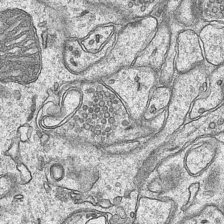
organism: Mouse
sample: CA1 Hippocampus